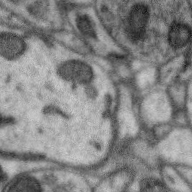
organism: Zebra finch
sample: Brain